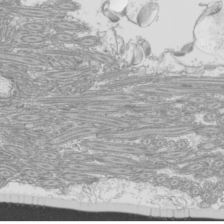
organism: Mouse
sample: Cilia; mouse epididymis